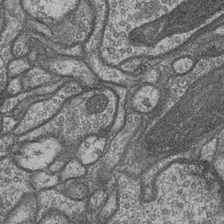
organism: Drosophila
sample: Optic medulla